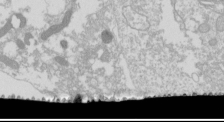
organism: Drosophila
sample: Cell division; meiosis; drosophila spermatocytes